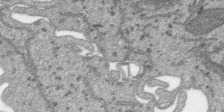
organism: Human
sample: Lung epithelial cells infected with SARS-CoV-2